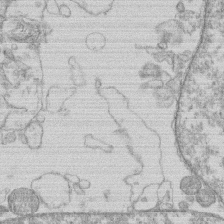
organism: Human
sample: Macrophage cells